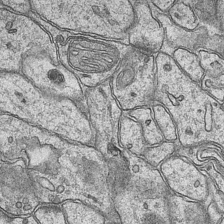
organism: Mouse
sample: CA1 Hippocampus